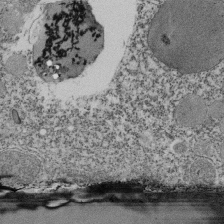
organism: Tetrahymena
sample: Cilia in tetrahymena